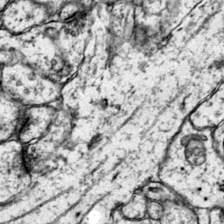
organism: Mouse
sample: Primary visual cortex